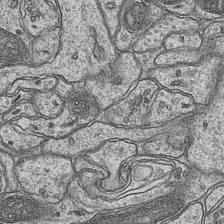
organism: Mouse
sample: CA1 Hippocampus